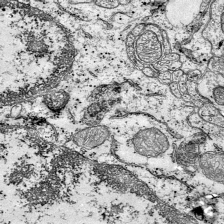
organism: Mouse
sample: Visual Cortex